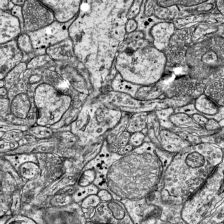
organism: Mouse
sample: Visual Cortex